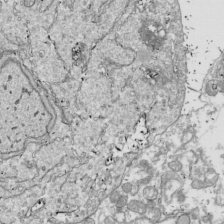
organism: Drosophila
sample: Cell division; meiosis; drosophila spermatocytes